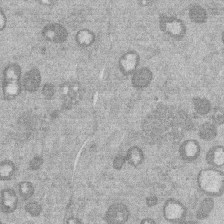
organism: Mouse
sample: Dividing mouse embryo 1 cell stage